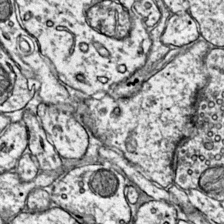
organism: Mouse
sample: Primary visual cortex